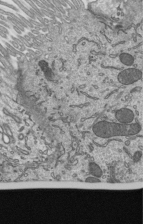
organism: Mouse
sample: Mouse epididymis efferent ductule cilia